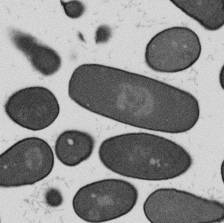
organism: B. subtilis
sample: Bacterial spore